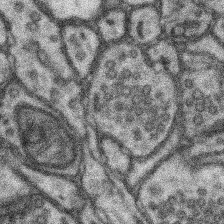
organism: Mouse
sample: Somatosensory cortex neuropil